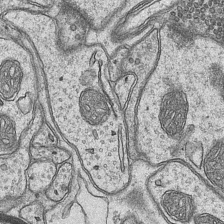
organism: Mouse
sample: CA1 Hippocampus